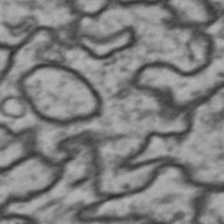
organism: Drosophila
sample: Brain